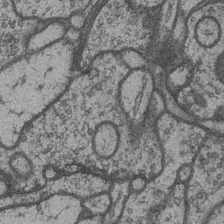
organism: Drosophila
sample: Optic medulla